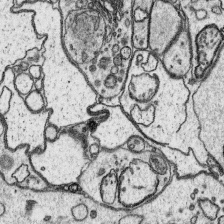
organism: Platynereis dumerilii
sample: Parapodia